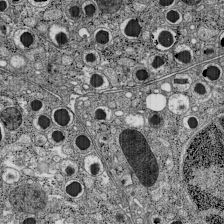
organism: C57BL Mouse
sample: Pancreatic islet